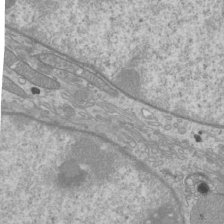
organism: Mouse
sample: Cilia; mouse epididymis